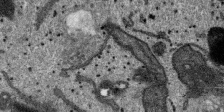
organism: Human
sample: Lung epithelial cells, uninfected (mock) control